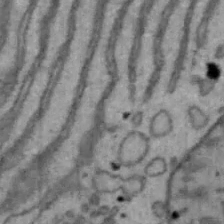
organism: Mouse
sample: Liver